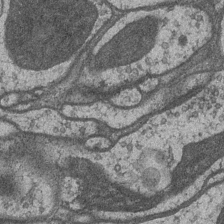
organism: Drosophila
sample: Optic medulla